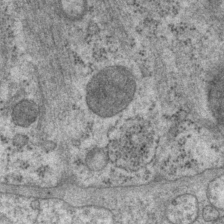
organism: P. pacificus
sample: Pharynx